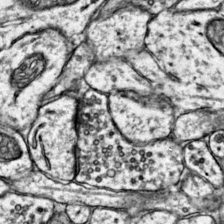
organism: Mouse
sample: Primary visual cortex